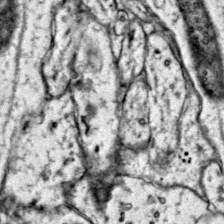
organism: Mouse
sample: Primary visual cortex